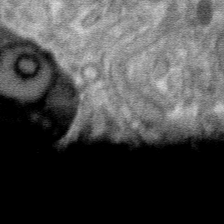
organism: Mouse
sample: Mouse hepatocytes